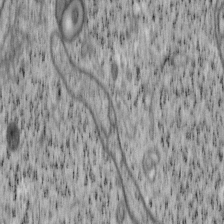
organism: Human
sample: HeLa cells